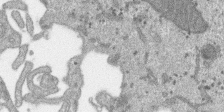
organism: Human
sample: Lung epithelial cells infected with SARS-CoV-2